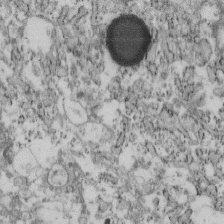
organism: Mouse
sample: Cilia; retinal pigment epithelium